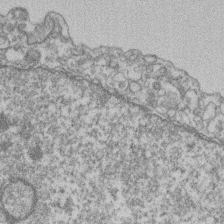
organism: Mouse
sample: T cell stromal cell synapse